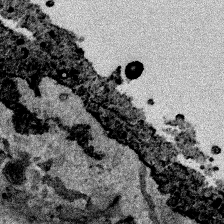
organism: Human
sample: Mitochondria in HCT116 cells